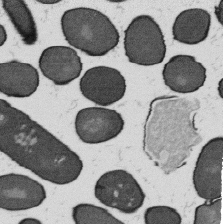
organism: B. subtilis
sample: Bacterial spore